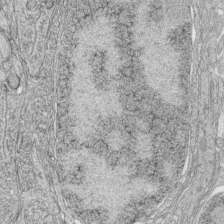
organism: Zebrafish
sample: synaptic ribbons in rod cells and cone cells